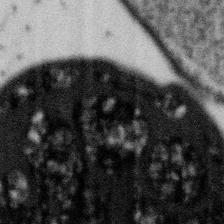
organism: Gemmata obscuriglobus